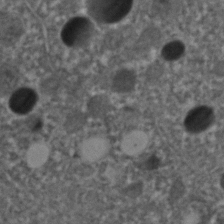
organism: C. elegans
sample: C. elegans embryo